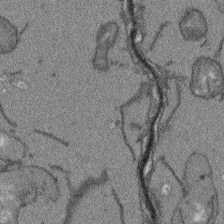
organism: Arabidopsis thaliana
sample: Root tip